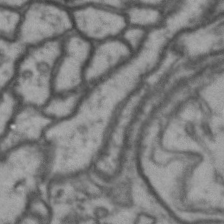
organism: Drosophila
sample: Brain